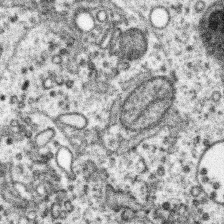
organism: Human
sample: HeLa cells